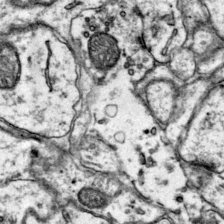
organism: Mouse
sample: Primary visual cortex